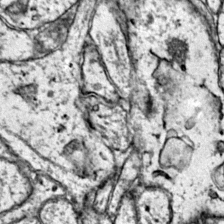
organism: Mouse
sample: Primary visual cortex